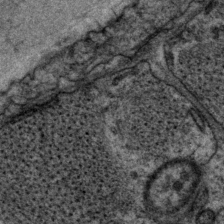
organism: P. pacificus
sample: Pharynx